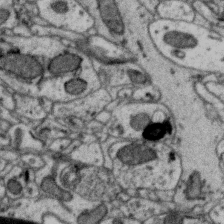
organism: Zebra finch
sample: Brain